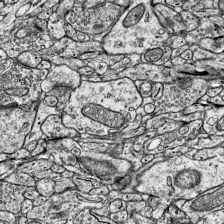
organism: Mouse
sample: Visual Cortex